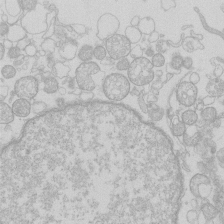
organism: Human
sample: Macrophage cells